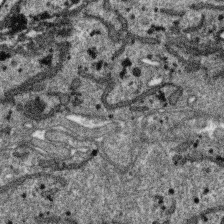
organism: Human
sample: Lung epithelial cells infected with SARS-CoV-2